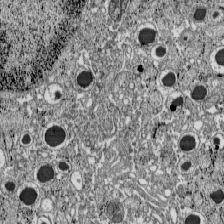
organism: C57BL Mouse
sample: Pancreatic islet